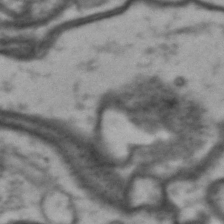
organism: Drosophila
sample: Brain